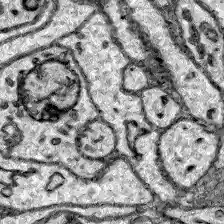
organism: Zebrafish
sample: Brain